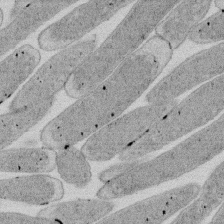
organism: E. coli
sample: Bacterial nucleoid